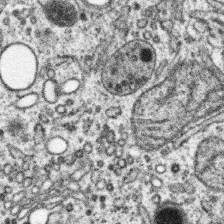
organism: Human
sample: HeLa cells